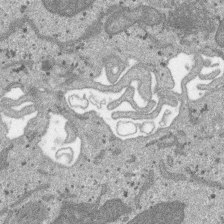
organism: Human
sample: Lung epithelial cells infected with SARS-CoV-2